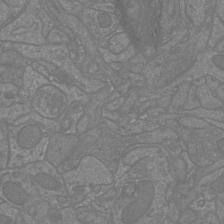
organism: Mouse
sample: Cortical neurons